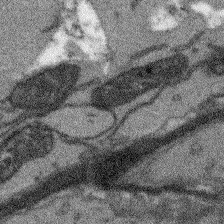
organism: Arabidopsis thaliana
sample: Root tip